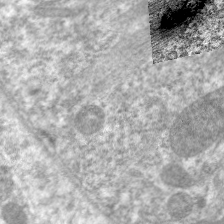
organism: C. elegans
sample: Pharynx